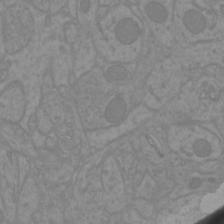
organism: Mouse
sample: Cortical neurons